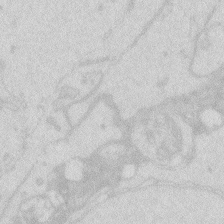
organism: Zebrafish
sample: Macrophage